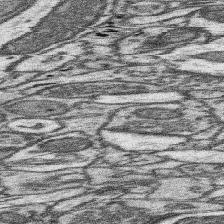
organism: Mouse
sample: Somatosensory cortex neuropil